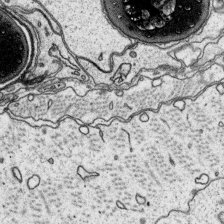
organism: Platynereis dumerilii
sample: Parapodia